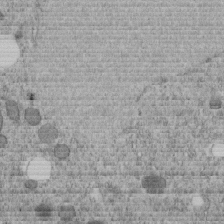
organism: C. elegans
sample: C. elegans embryo early stage